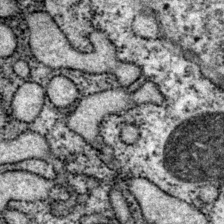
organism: P. pacificus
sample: Pharynx